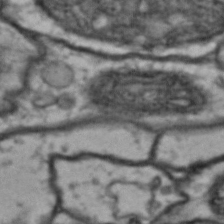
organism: Drosophila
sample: Brain